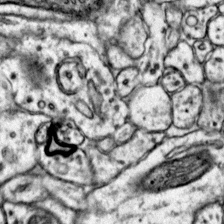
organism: Mouse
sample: Primary visual cortex